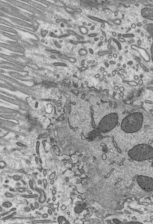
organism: Mouse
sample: Mouse epididymis efferent ductule cilia